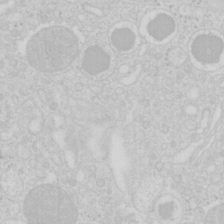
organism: Mouse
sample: Pancreas